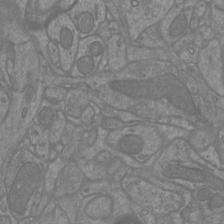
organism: Mouse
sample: Cortical neurons